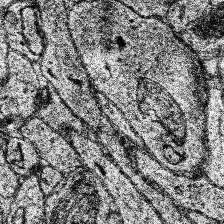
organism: Human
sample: Temporal Lobe